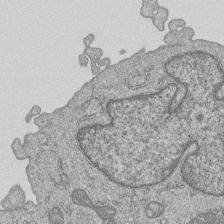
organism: Human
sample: MDA-MB-231 cells